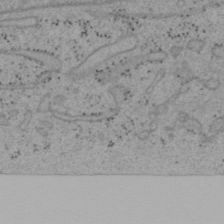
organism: Human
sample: HeLa cells